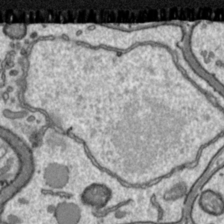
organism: Toxoplasma gondii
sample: Parasites in a vacuole inside a host cell